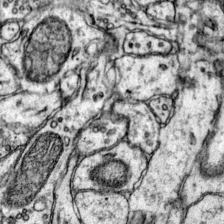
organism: Mouse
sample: Primary visual cortex